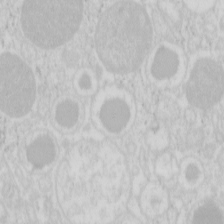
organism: Mouse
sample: Pancreas